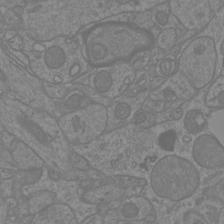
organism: Mouse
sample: Cortical neurons